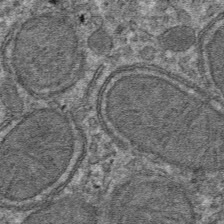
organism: Mouse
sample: Mouse hepatocytes